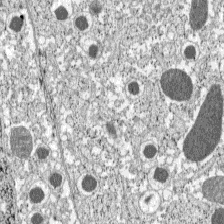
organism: C57BL Mouse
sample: Pancreatic islet